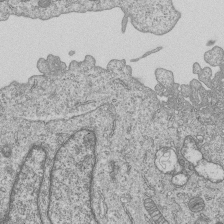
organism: Human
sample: MDA-MB-231 cells